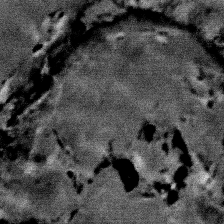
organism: Mouse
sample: Mouse Salivary gland